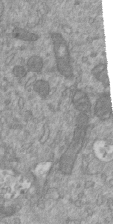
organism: Mouse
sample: ED-1 cell nuclei; centrioles